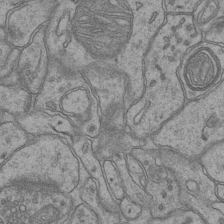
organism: Mouse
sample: CA1 Hippocampus